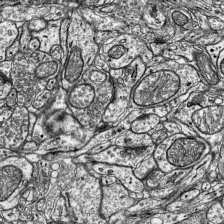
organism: Mouse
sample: Visual Cortex